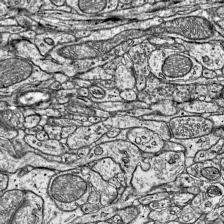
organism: Mouse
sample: Visual Cortex